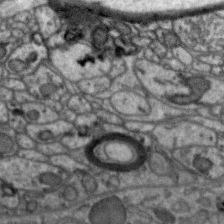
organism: Zebra finch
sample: Brain